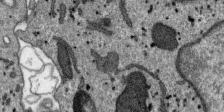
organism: Human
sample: Lung epithelial cells, uninfected (mock) control